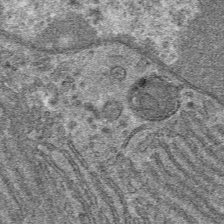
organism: Mouse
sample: Mouse hepatocytes